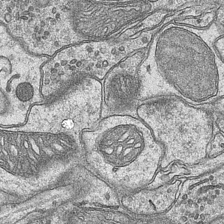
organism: Mouse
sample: CA1 Hippocampus